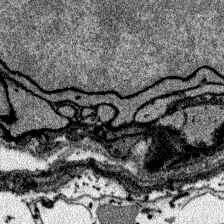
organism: Zebrafish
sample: Larval olfactory bulb